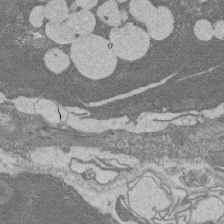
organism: Rat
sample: Salivary granule